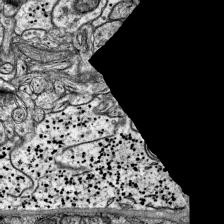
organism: Mouse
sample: Visual Cortex